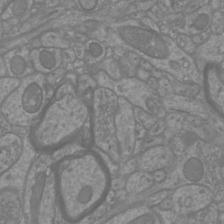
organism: Mouse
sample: Cortical neurons